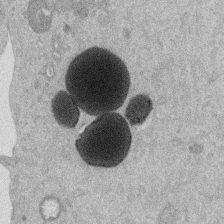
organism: Mouse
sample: Dividing mouse embryo 1 cell stage